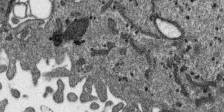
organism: Human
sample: Lung epithelial cells infected with SARS-CoV-2